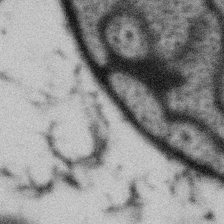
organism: Gemmata obscuriglobus